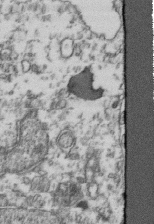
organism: Human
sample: Activated Jurkat CD4+ T cells